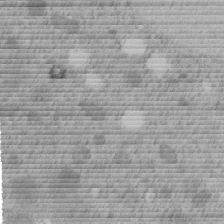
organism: C. elegans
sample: C. elegans embryo early stage